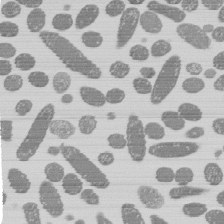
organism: E. coli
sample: Bacterial nucleoid